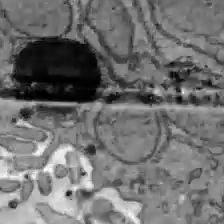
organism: C57BL Mouse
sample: Liver